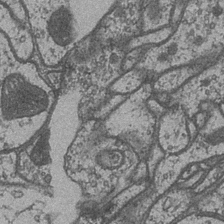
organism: Drosophila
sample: Optic medulla